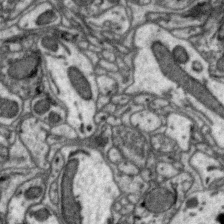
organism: Zebra finch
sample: Brain